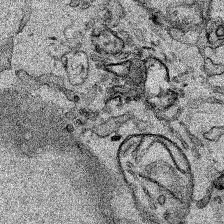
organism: Human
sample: Mitochondria in HCT116 cells